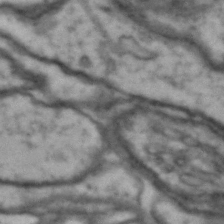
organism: Drosophila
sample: Brain